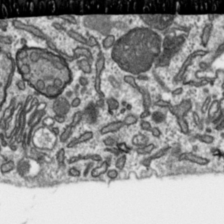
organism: Toxoplasma gondii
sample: Parasites in a vacuole inside a host cell